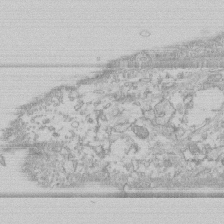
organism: Human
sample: CRL-1474